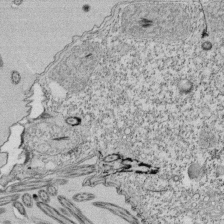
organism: Tetrahymena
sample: Cilia in tetrahymena